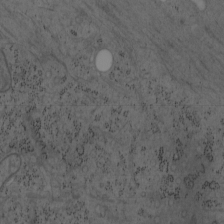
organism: Mouse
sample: OT-I killer T cells with ID8 ovarian cancer cells